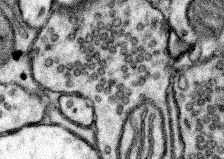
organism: Mouse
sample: Somatosensory cortex neuropil